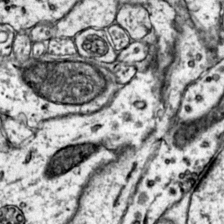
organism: Mouse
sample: Primary visual cortex